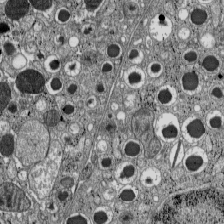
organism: C57BL Mouse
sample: Pancreatic islet